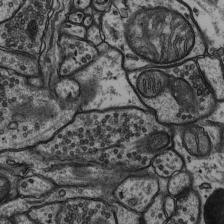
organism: Rat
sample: Hippocampus